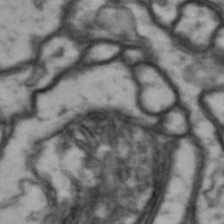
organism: Drosophila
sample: Brain